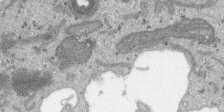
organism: Human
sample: Lung epithelial cells infected with SARS-CoV-2